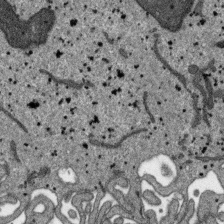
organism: Human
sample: Lung epithelial cells, uninfected (mock) control